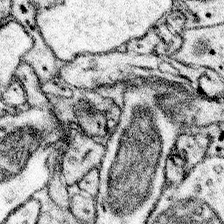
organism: Mouse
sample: Somatosensory cortex neuropil